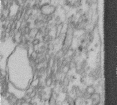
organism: Human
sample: Centriole in fibroblast cells